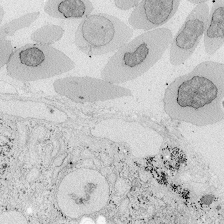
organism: Zebrafish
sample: Whole-Brain